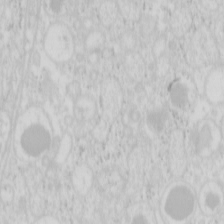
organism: Mouse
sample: Pancreas